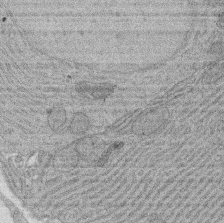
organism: Rat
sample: Salivary granule